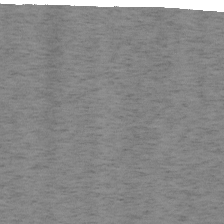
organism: Mouse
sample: OT-I killer T cells with ID8 ovarian cancer cells